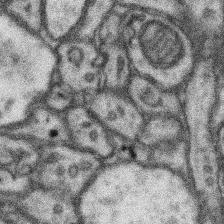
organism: Mouse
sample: Somatosensory cortex neuropil